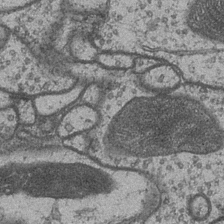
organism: Drosophila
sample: Optic medulla